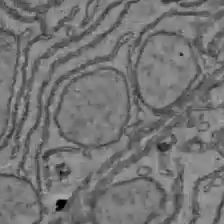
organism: C57BL Mouse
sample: Liver